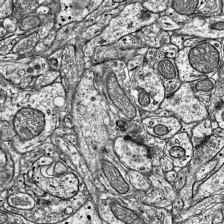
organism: Mouse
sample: Visual Cortex